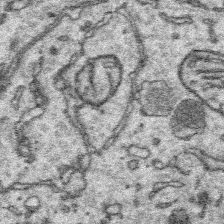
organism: Platynereis dumerilii